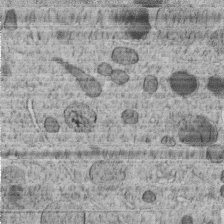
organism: C. elegans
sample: C. elegans embryo early stage